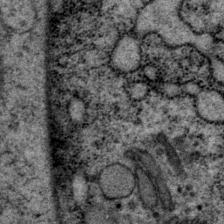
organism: P. pacificus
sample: Pharynx